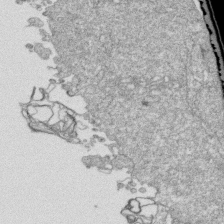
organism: Human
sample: HeLa cell HIV synapse